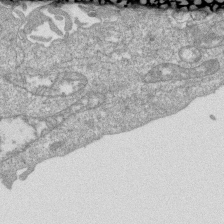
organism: Human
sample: HeLa cell HIV synapse